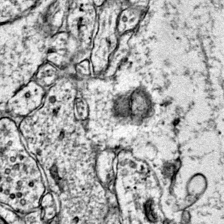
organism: Mouse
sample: Primary visual cortex